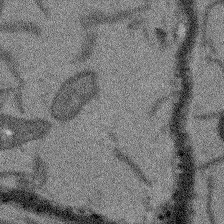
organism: Arabidopsis thaliana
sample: Root tip